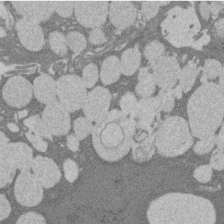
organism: Rat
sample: Salivary granule